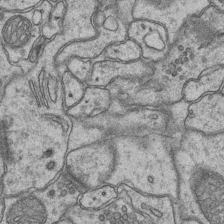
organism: Mouse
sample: CA1 Hippocampus